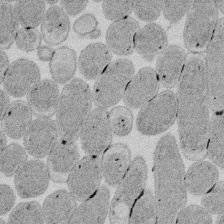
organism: E. coli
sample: Bacterial nucleoid